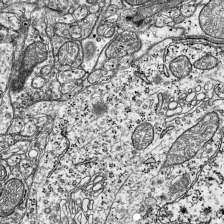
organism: Mouse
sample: Visual Cortex